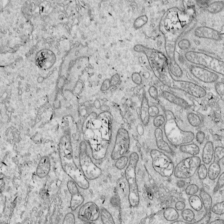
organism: Drosophila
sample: Cell division; meiosis; drosophila spermatocytes